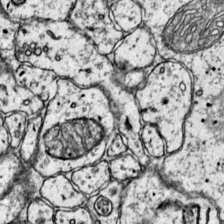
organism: Mouse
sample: Primary visual cortex